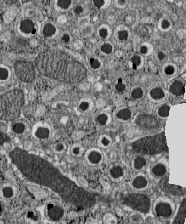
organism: C57BL Mouse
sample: Pancreatic islet